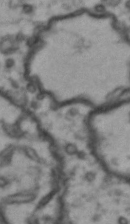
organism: Drosophila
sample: Brain